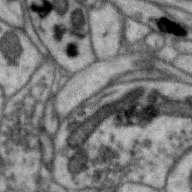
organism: Zebra finch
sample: Brain